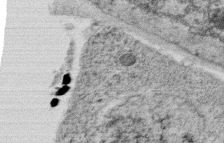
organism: C. elegans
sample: C. elegans oocyte; sperm cells